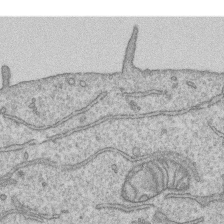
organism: Human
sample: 1205lu cells